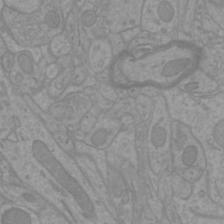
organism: Mouse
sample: Cortical neurons